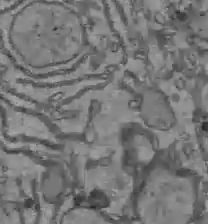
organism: C57BL Mouse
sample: Liver